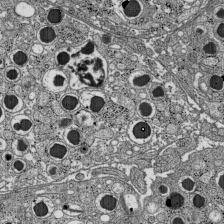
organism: C57BL Mouse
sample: Pancreatic islet